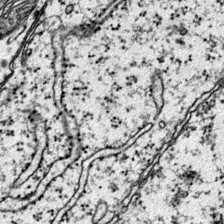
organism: Mouse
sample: Primary visual cortex